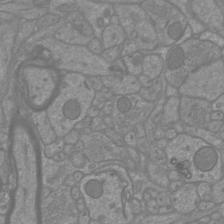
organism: Mouse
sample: Cortical neurons